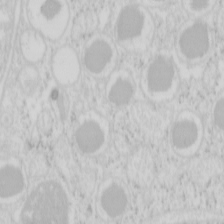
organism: Mouse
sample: Pancreas